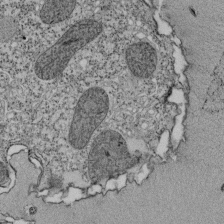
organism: Tetrahymena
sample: Cilia in tetrahymena